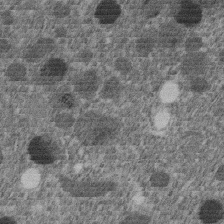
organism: C. elegans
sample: C. elegans embryo early stage